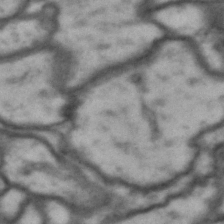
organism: Drosophila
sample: Brain